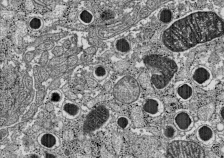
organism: C57BL Mouse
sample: Pancreatic islet